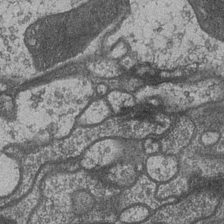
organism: Drosophila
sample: Optic medulla